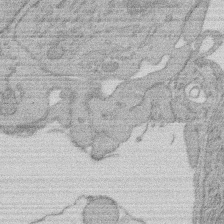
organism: Rat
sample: Salivary granule